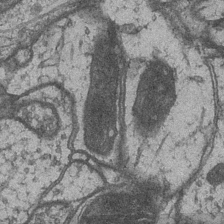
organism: Drosophila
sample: Optic medulla